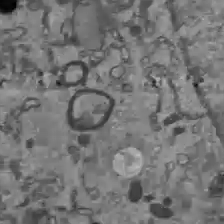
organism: C57BL Mouse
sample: Liver